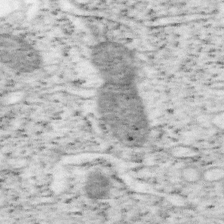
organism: Mouse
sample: OT-I killer T cells with ID8 ovarian cancer cells